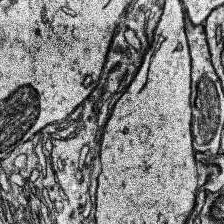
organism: Human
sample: Temporal Lobe